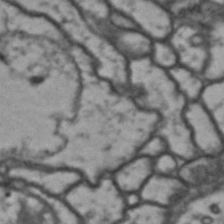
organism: Drosophila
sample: Brain